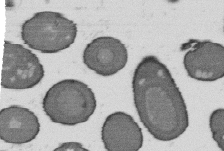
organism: B. subtilis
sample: Bacterial spore